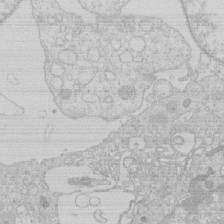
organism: Human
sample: Macrophage cells